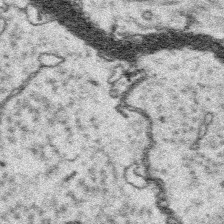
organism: Platynereis dumerilii